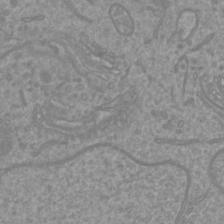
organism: Mouse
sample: Cortical neurons